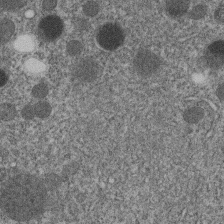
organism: C. elegans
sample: C. elegans embryo early stage